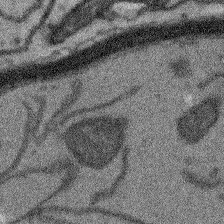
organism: Arabidopsis thaliana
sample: Root tip